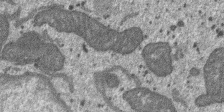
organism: Human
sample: Lung epithelial cells infected with SARS-CoV-2